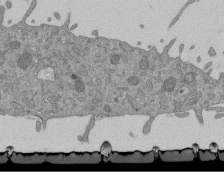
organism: Mouse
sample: ED-1 cell nuclei; centrioles